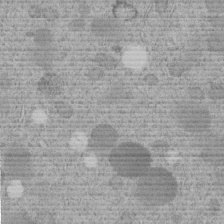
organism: C. elegans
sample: C. elegans embryo early stage